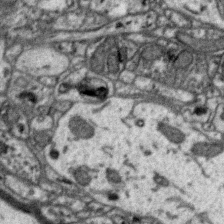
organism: Zebra finch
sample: Brain